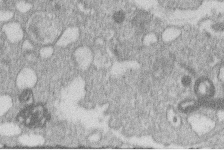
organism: Human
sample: Macrophage cells